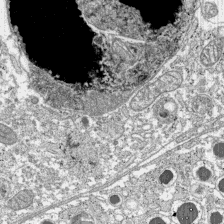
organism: C57BL Mouse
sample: Pancreatic islet